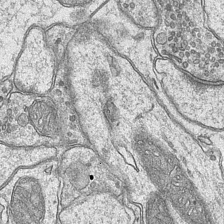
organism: Mouse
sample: CA1 Hippocampus